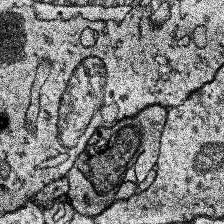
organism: Human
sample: Temporal Lobe